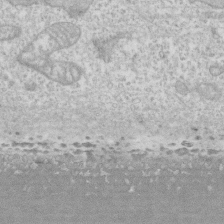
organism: Human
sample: CRL-1474